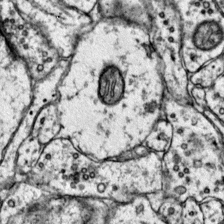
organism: Mouse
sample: Primary visual cortex